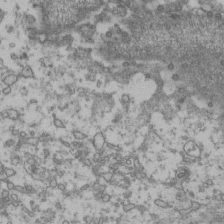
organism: Human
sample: Activated Jurkat CD4+ T cells